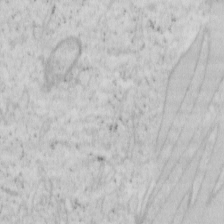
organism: Human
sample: HeLa cells